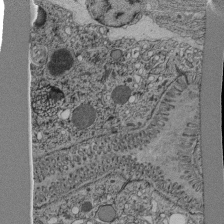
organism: C. elegans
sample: C. elegans pharynx